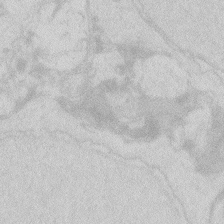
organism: Zebrafish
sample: Macrophage